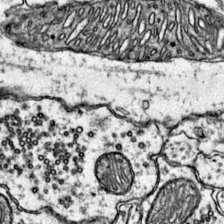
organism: Mouse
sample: Primary visual cortex